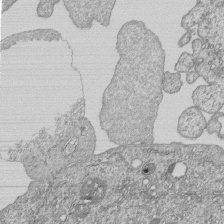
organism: Human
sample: MDA-MB-231 cells